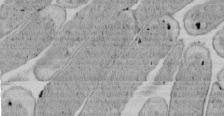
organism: E. coli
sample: Bacterial nucleoid